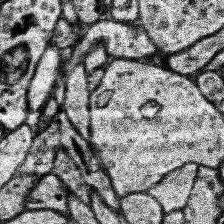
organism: Human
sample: Temporal Lobe